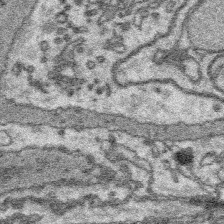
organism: Platynereis dumerilii